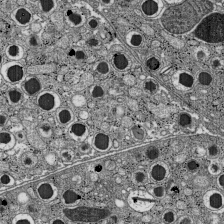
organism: C57BL Mouse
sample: Pancreatic islet